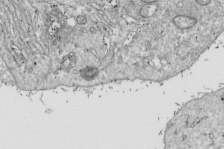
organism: Drosophila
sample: Cell division; meiosis; drosophila spermatocytes